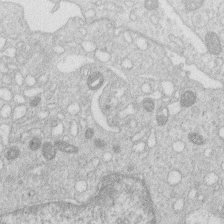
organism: Human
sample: Macrophage cells